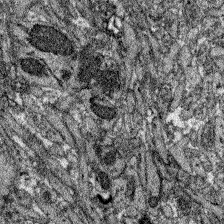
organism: Zebrafish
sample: Larval olfactory bulb